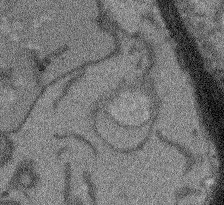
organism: Arabidopsis thaliana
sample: Root tip